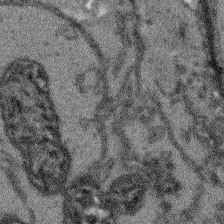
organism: Arabidopsis thaliana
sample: Root tip